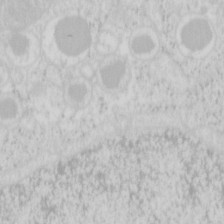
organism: Mouse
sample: Pancreas